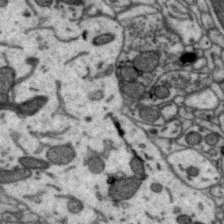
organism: Zebra finch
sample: Brain